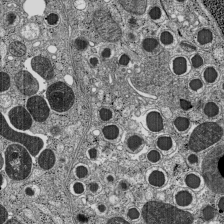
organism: C57BL Mouse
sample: Pancreatic islet